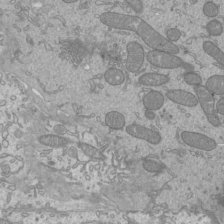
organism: Mouse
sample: Cilia; mouse epididymis